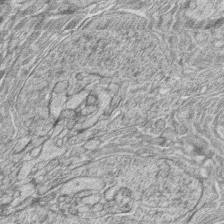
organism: Zebrafish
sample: synaptic ribbons in rod cells and cone cells